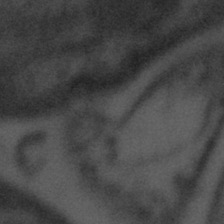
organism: Tuwongella immobilis